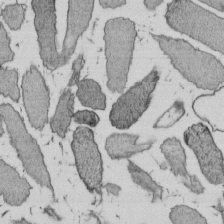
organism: E. coli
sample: Bacterial nucleoid